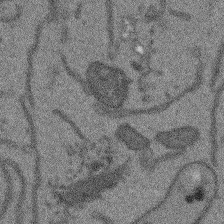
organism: Arabidopsis thaliana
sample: Root tip